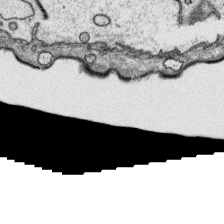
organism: Platynereis dumerilii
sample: Parapodia